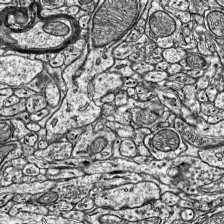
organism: Mouse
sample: Visual Cortex